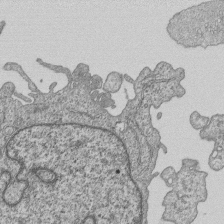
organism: Human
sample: MDA-MB-231 cells